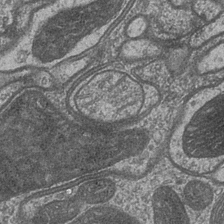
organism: Drosophila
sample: Optic medulla